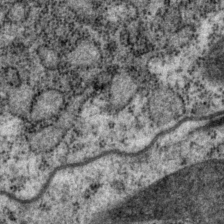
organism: P. pacificus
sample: Pharynx